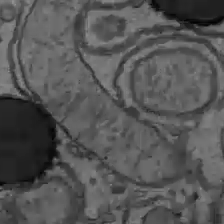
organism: C57BL Mouse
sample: Liver